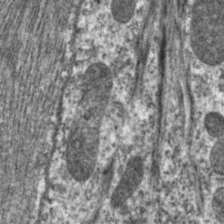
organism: C. elegans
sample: Pharynx